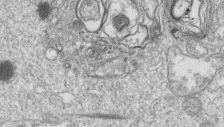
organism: Human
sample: HeLa cell HIV synapse